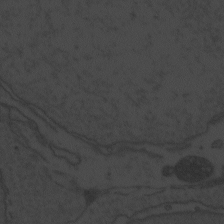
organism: Zebrafish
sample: Macrophage infected with Toxoplasma gondii